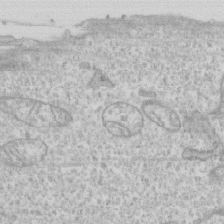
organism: Human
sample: CRL-1474